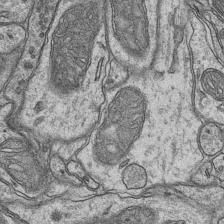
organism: Mouse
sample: CA1 Hippocampus